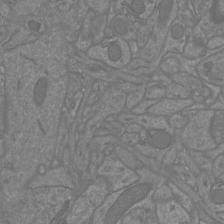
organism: Mouse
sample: Cortical neurons